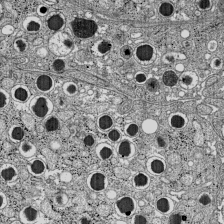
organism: C57BL Mouse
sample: Pancreatic islet